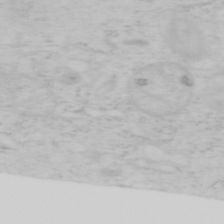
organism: Mouse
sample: OT-I killer T cells with ID8 ovarian cancer cells